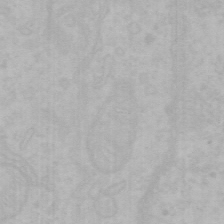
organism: Mouse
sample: Choroid plexus